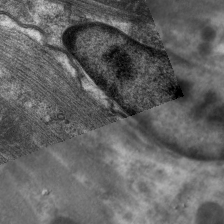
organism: C. elegans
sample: Pharynx